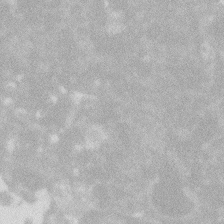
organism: Zebrafish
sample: Macrophage